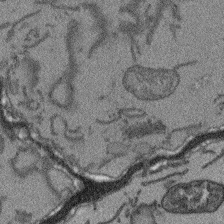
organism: Arabidopsis thaliana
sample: Root tip